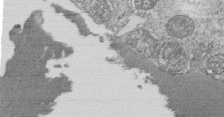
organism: Tetrahymena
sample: Cilia in tetrahymena